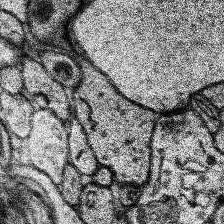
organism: Human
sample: Temporal Lobe